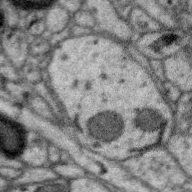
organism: Zebra finch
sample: Brain